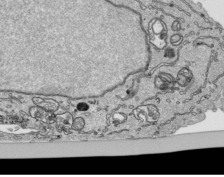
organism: Human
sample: Mitochondria in HCT116 cells